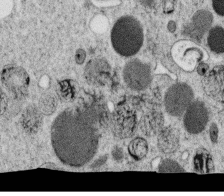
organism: C. elegans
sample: C. elegans oocyte; sperm cells